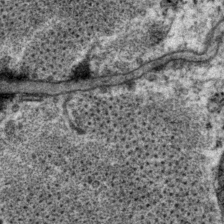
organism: P. pacificus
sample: Pharynx